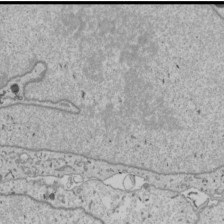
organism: Human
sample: Mitochondria in U2OS cells